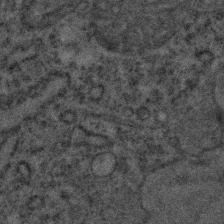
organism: C. elegans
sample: C. elegans embryo